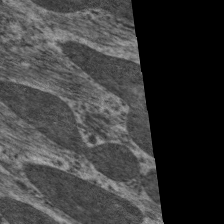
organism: C. elegans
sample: Pharynx